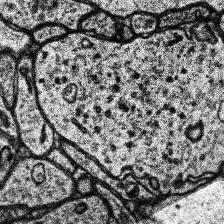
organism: Human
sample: Temporal Lobe